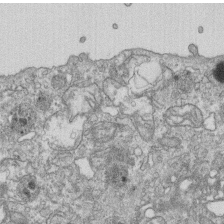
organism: Human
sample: HeLa cell HIV synapse